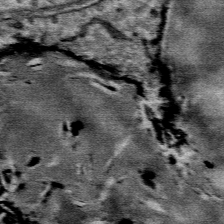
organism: Mouse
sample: Mouse Salivary gland